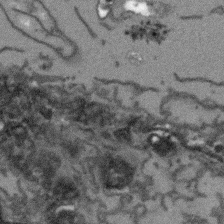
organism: Arabidopsis thaliana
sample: Root tip